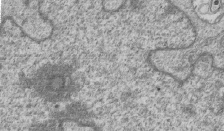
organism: Human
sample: MDA-MB-231 cells